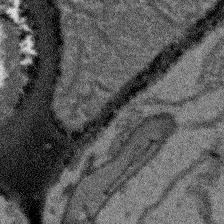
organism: Arabidopsis thaliana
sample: Root tip